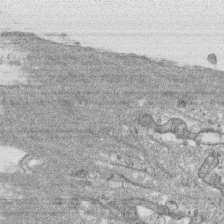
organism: Human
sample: CRL-1474